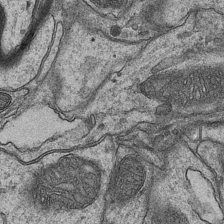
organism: Mouse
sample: CA1 Hippocampus